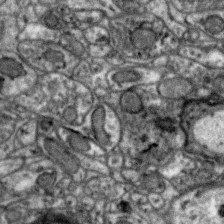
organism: Zebra finch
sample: Brain